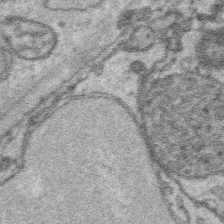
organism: Platynereis dumerilii